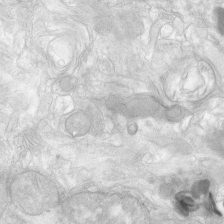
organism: Human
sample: Neocortex